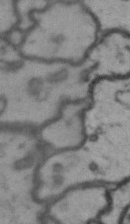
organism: Drosophila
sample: Brain